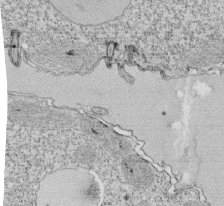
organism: Tetrahymena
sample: Cilia in tetrahymena